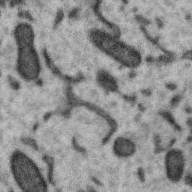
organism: Zebra finch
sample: Brain